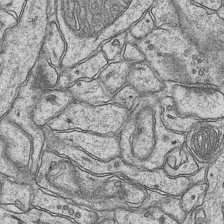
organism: Mouse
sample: CA1 Hippocampus